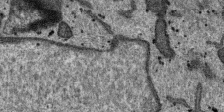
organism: Human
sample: Lung epithelial cells, uninfected (mock) control